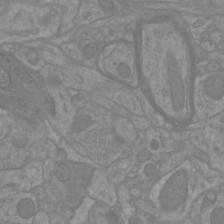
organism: Mouse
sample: Cortical neurons